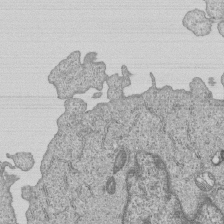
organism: Human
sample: MDA-MB-231 cells